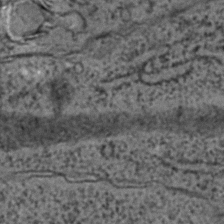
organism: C. elegans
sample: C. elegans embryo